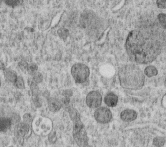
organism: C. elegans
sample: C. elegans embryo early stage